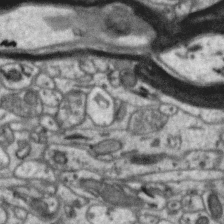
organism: Zebra finch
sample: Brain